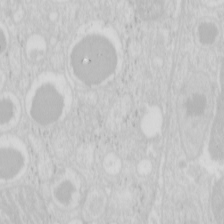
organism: Mouse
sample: Pancreas